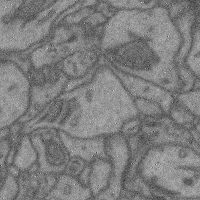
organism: Mouse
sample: Cerebral cortex